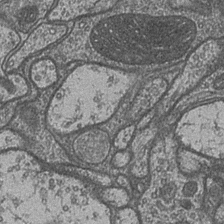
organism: Drosophila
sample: Optic medulla